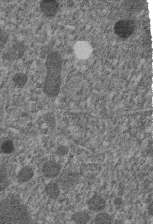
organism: C. elegans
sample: C. elegans embryo early stage